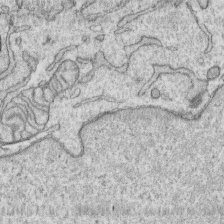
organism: Human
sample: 1205lu cells